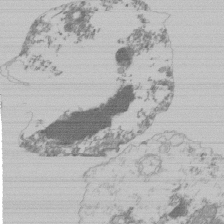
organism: Mouse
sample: Activated Pmel transgenic CD8+ T Cells